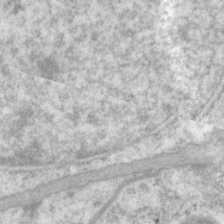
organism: P. pacificus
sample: Pharynx